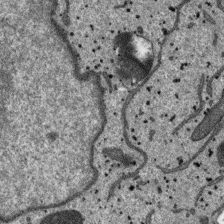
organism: Human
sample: Lung epithelial cells, uninfected (mock) control